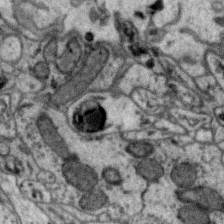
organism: Zebra finch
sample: Brain